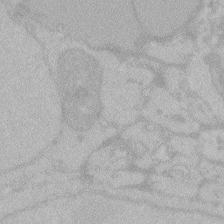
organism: Zebrafish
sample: Macrophage infected with Toxoplasma gondii